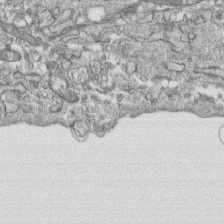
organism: Human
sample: CRL-1474